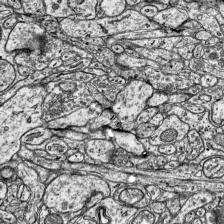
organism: Mouse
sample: Visual Cortex